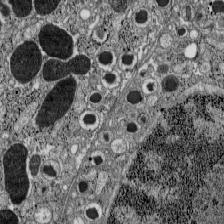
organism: C57BL Mouse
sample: Pancreatic islet